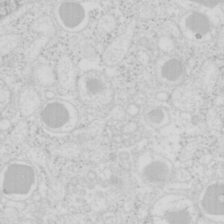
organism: Mouse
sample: Pancreas